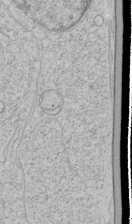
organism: Human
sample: Mitochondria in HCT116 cells